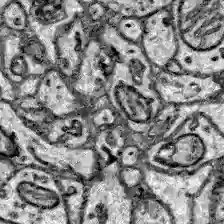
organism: Zebrafish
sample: Brain